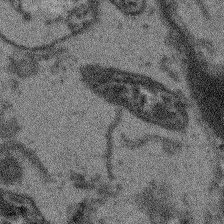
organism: Arabidopsis thaliana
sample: Root tip